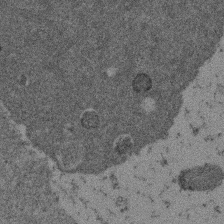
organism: Mouse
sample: Dividing mouse embryo 1 cell stage